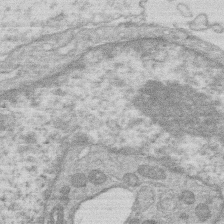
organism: Human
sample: Macrophage cells